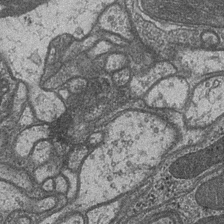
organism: Drosophila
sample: Optic medulla